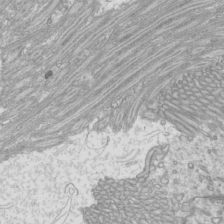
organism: Mouse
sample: Cilia; mouse epididymis